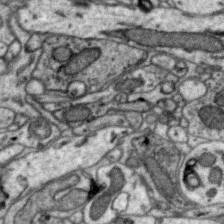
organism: Zebra finch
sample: Brain